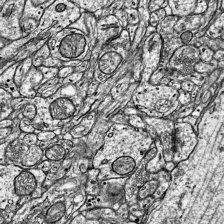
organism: Mouse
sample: Visual Cortex